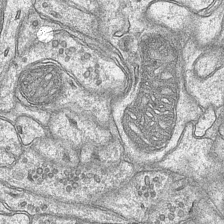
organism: Mouse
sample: CA1 Hippocampus